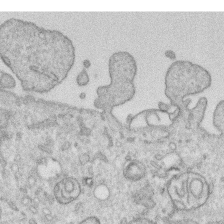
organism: Human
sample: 1205lu cells